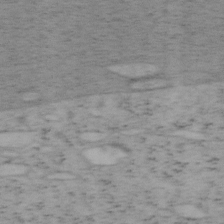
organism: Mouse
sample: OT-I killer T cells with ID8 ovarian cancer cells